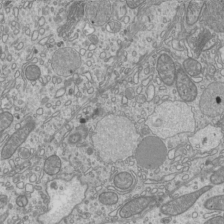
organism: Mouse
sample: Cilia; mouse epididymis